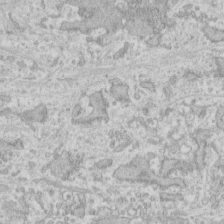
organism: Human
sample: Fibroblast cells